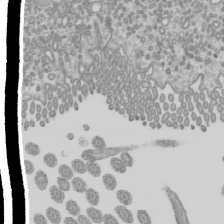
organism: Mouse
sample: Cilia; mouse epididymis